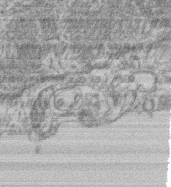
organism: Mouse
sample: T cell stromal cell synapse